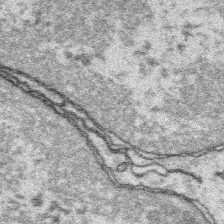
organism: Platynereis dumerilii